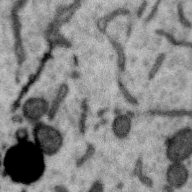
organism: Zebra finch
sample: Brain